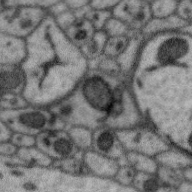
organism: Zebra finch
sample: Brain